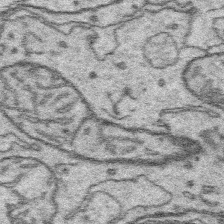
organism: Platynereis dumerilii